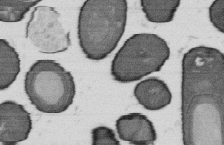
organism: B. subtilis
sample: Bacterial spore